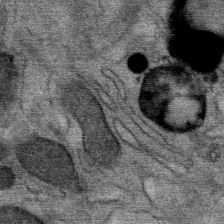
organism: Mouse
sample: Mouse Salivary gland